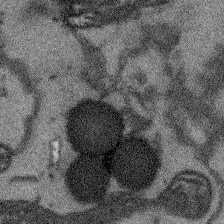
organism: Arabidopsis thaliana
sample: Root tip